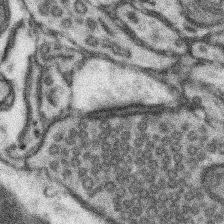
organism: Mouse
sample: Somatosensory cortex neuropil